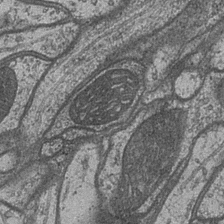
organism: Drosophila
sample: Optic medulla